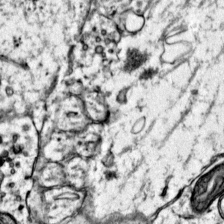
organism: Mouse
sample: Primary visual cortex